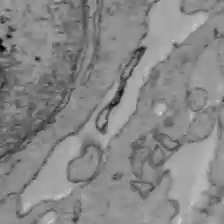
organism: C57BL Mouse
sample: Liver